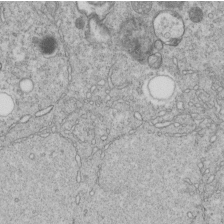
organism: C. elegans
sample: C. elegans embryo early stage